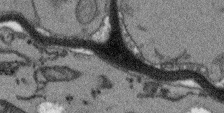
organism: Arabidopsis thaliana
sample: Root tip